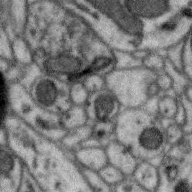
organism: Zebra finch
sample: Brain